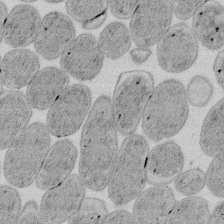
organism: E. coli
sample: Bacterial nucleoid